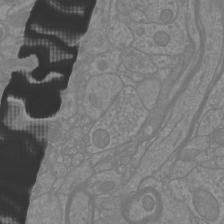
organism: Mouse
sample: Cortical neurons